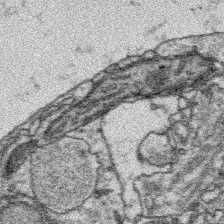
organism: Platynereis dumerilii